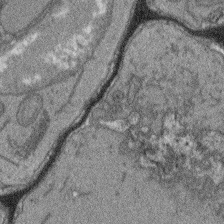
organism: Arabidopsis thaliana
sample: Root tip